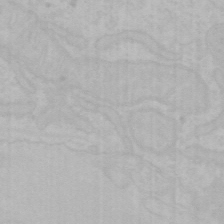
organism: Mouse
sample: Choroid plexus